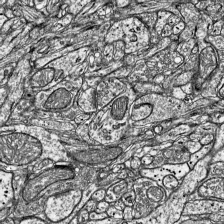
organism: Mouse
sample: Visual Cortex